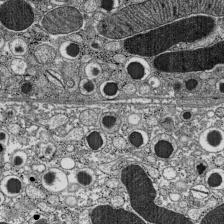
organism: C57BL Mouse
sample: Pancreatic islet